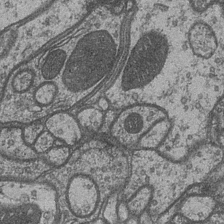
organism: Drosophila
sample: Optic medulla